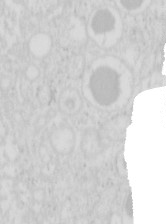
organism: Mouse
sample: Pancreas